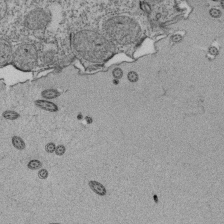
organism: Tetrahymena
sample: Cilia in tetrahymena